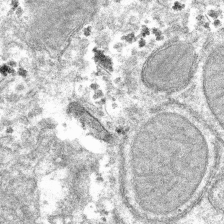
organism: Mouse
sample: Mouse hepatocytes